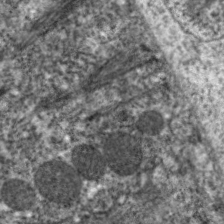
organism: C. elegans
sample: Pharynx